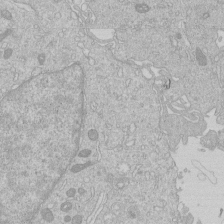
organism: Human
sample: Macrophage cells